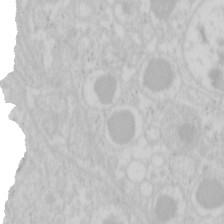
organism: Mouse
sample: Pancreas